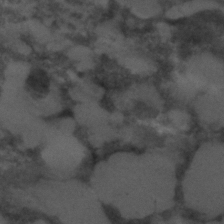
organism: C. elegans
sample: C. elegans embryo